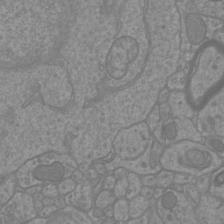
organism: Mouse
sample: Cortical neurons